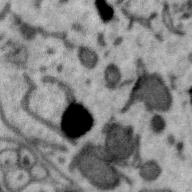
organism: Zebra finch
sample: Brain